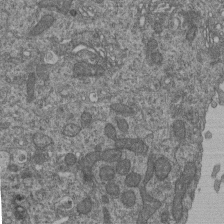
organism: Human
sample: Retinal organoid Rod and Cone cells